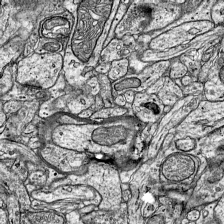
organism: Mouse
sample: Visual Cortex